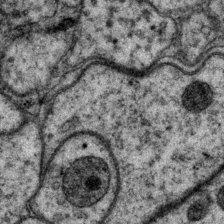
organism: P. pacificus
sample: Pharynx